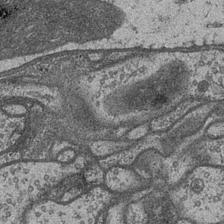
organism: Drosophila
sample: Optic medulla